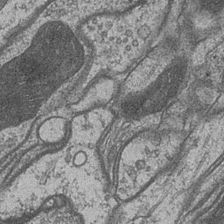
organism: Drosophila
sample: Optic medulla